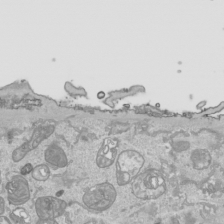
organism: Human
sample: Mitochondria in HCT116 cells